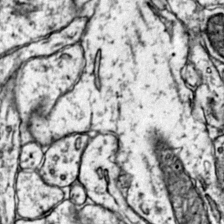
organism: Mouse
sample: Primary visual cortex